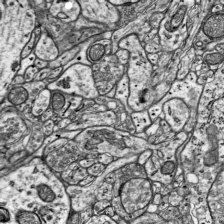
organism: Mouse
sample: Visual Cortex